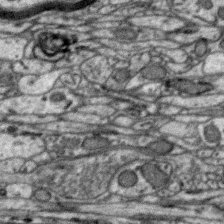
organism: Zebra finch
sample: Brain